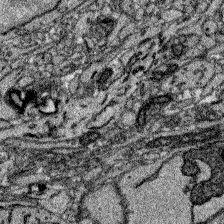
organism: Zebrafish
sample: Larval olfactory bulb